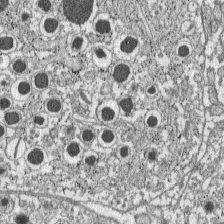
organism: C57BL Mouse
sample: Pancreatic islet